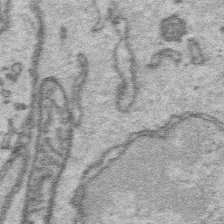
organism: Platynereis dumerilii